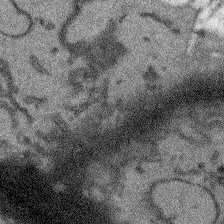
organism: Arabidopsis thaliana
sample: Root tip